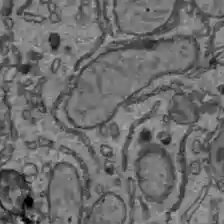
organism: C57BL Mouse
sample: Liver